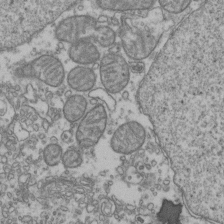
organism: Human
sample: Activated Jurkat CD4+ T cells